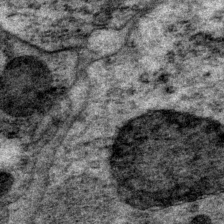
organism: P. pacificus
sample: Pharynx